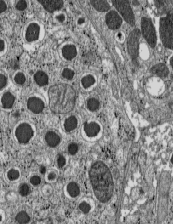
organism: C57BL Mouse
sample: Pancreatic islet